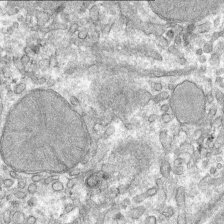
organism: Mouse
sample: Mouse hepatocytes